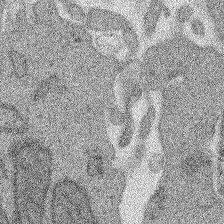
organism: Human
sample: HeLa cells